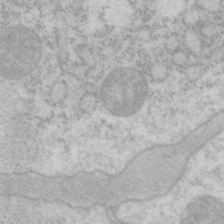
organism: P. pacificus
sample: Pharynx